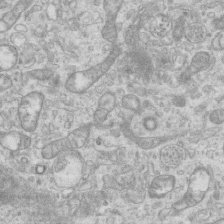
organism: Mouse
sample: Centriole in ependymal cells